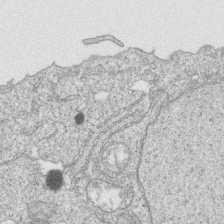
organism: Human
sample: HeLa cell HIV synapse